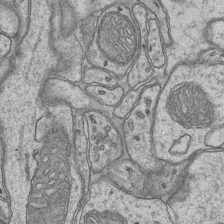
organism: Mouse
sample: CA1 Hippocampus